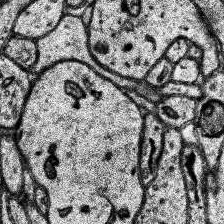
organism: Human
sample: Temporal Lobe